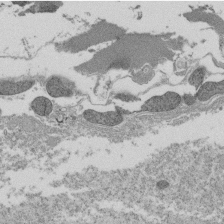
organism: Tetrahymena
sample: Cilia in tetrahymena